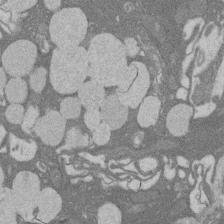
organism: Rat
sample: Salivary granule